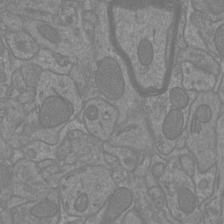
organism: Mouse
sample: Cortical neurons